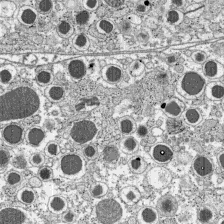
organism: C57BL Mouse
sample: Pancreatic islet